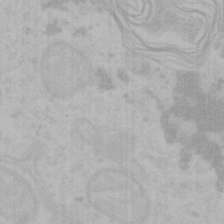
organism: Mouse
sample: Choroid plexus